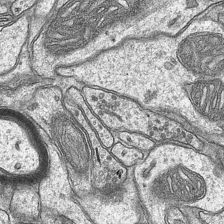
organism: Mouse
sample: CA1 Hippocampus